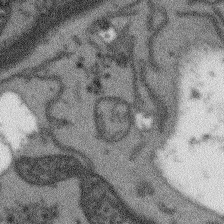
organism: Arabidopsis thaliana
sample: Root tip